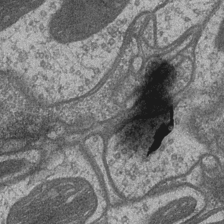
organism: Drosophila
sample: Optic medulla